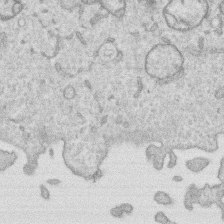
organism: Human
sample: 1205lu cells